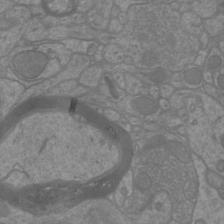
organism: Mouse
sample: Cortical neurons